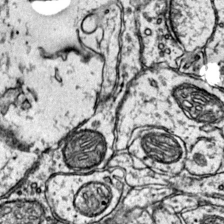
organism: Mouse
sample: Primary visual cortex